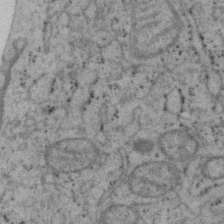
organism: Human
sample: HeLa cells